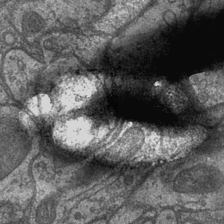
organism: Drosophila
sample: Optic medulla